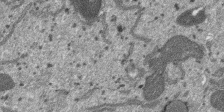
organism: Human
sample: Lung epithelial cells infected with SARS-CoV-2